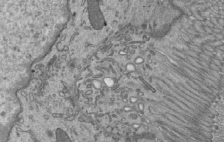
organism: Mouse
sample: Mouse epididymis efferent ductule cilia